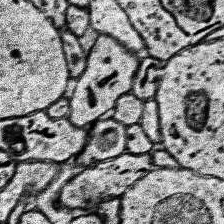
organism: Human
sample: Temporal Lobe